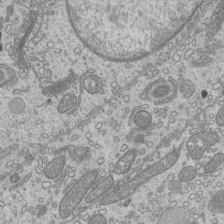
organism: Mouse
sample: Cilia; mouse epididymis